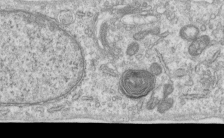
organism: Human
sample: Centriole in RPE cells